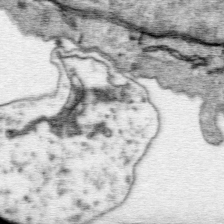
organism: Human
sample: HeLa cells